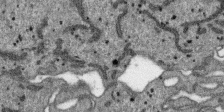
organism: Human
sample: Lung epithelial cells, uninfected (mock) control